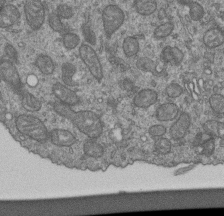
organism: Human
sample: Retinal organoid Rod and Cone cells